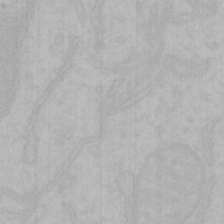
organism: Mouse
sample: Choroid plexus